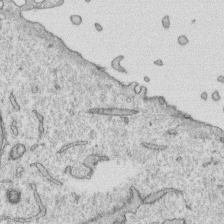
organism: Human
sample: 1205lu cells